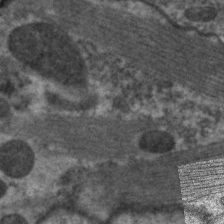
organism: C. elegans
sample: Pharynx